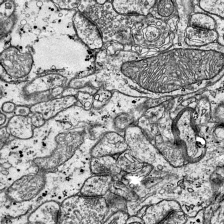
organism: Mouse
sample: Visual Cortex